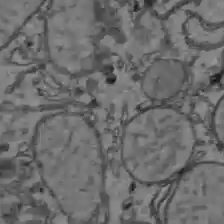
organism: C57BL Mouse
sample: Liver